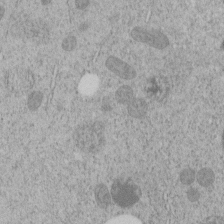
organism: C. elegans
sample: C. elegans embryo early stage